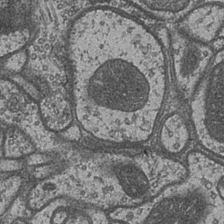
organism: Drosophila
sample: Optic medulla